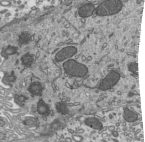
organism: Mouse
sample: Mouse epididymis efferent ductule cilia